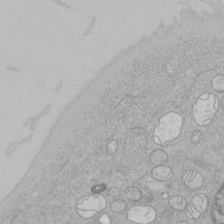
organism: Human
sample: Mitochondria in HCT116 cells